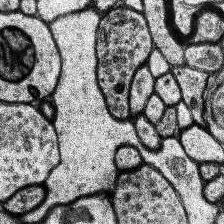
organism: Human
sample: Temporal Lobe